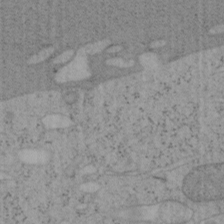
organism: Mouse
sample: OT-I killer T cells with ID8 ovarian cancer cells